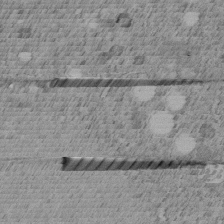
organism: C. elegans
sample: C. elegans embryo early stage